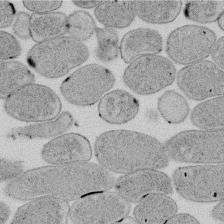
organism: E. coli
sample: Bacterial nucleoid